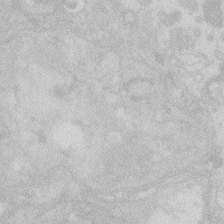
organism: Zebrafish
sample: Macrophage